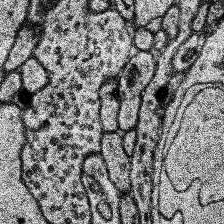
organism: Human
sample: Temporal Lobe